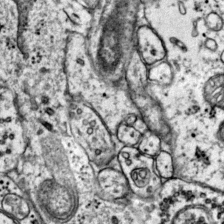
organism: Mouse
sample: Primary visual cortex